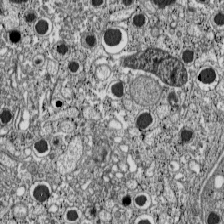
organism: C57BL Mouse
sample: Pancreatic islet